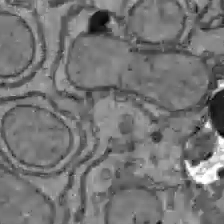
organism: C57BL Mouse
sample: Liver